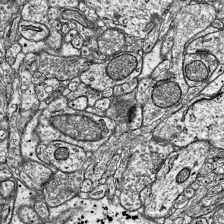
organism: Mouse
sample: Visual Cortex